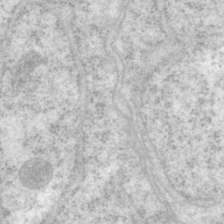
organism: P. pacificus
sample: Pharynx